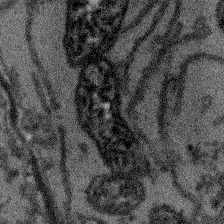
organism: Arabidopsis thaliana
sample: Root tip